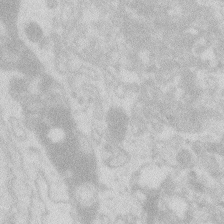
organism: Zebrafish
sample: Macrophage